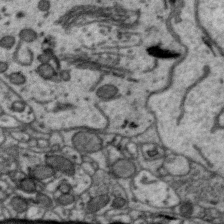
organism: Zebra finch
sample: Brain